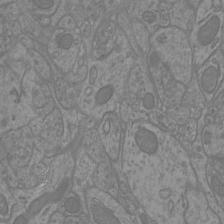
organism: Mouse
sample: Cortical neurons